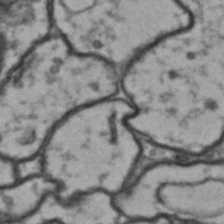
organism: Drosophila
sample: Brain